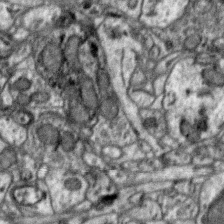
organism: Zebra finch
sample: Brain